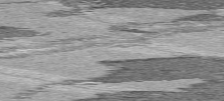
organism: C57BL Mouse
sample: Heart